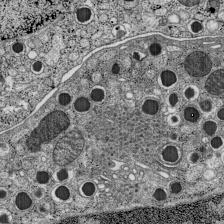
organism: C57BL Mouse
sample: Pancreatic islet